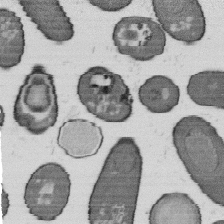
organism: B. subtilis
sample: Bacterial spore